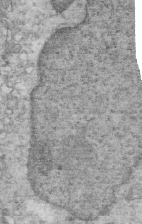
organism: Mouse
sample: Multiciliated cells